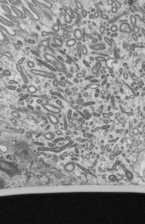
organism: Mouse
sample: Mouse epididymis efferent ductule cilia